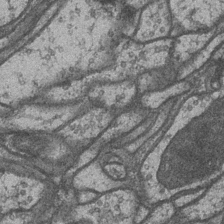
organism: Drosophila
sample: Optic medulla